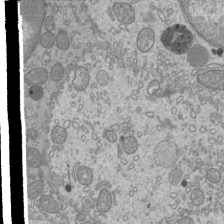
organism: Mouse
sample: Cilia; mouse epididymis